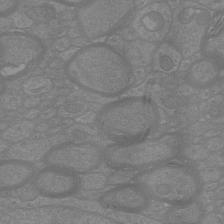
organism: Mouse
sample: Cortical neurons